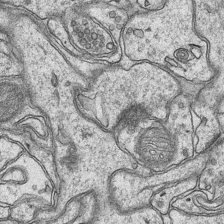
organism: Mouse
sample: CA1 Hippocampus